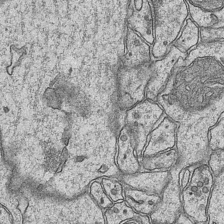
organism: Mouse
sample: CA1 Hippocampus